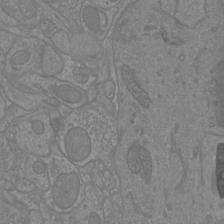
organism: Mouse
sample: Cortical neurons